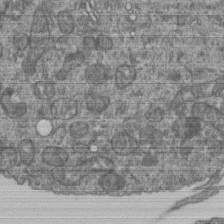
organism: Human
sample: Retinal organoid Rod and Cone cells